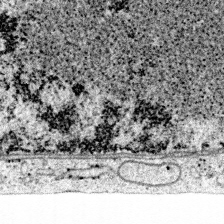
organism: Human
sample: HeLa cells